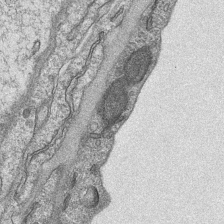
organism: Mouse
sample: CA1 Hippocampus